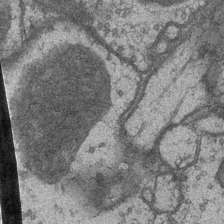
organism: Drosophila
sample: Optic medulla